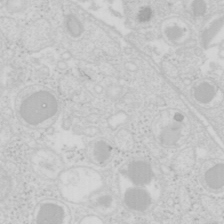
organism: Mouse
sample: Pancreas